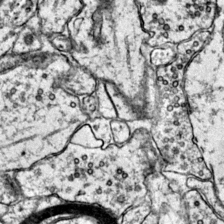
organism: Mouse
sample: Primary visual cortex